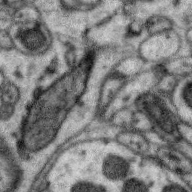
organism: Zebra finch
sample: Brain